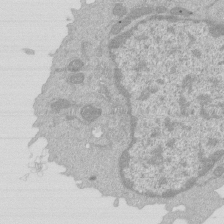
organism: Mouse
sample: Activated Pmel transgenic CD8+ T Cells